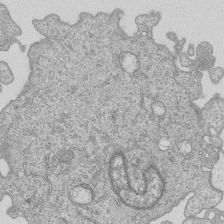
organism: Human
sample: MDA-MB-231 cells